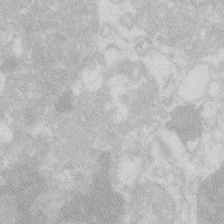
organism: Zebrafish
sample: Macrophage